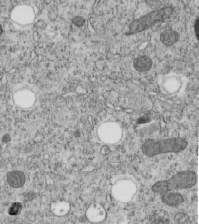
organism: C. elegans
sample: C. elegans embryo early stage